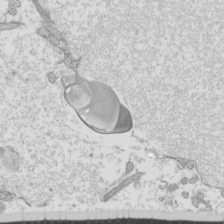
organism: Mouse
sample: Cilia; mouse epididymis